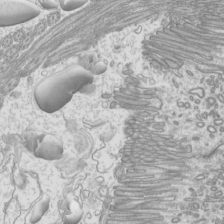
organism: Mouse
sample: Cilia; mouse epididymis